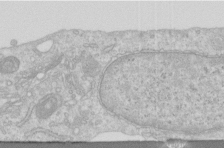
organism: Human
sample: Centriole in RPE cells